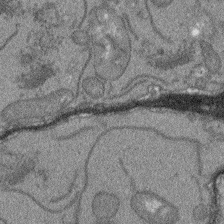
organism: Arabidopsis thaliana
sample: Root tip